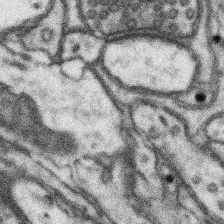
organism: Mouse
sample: Somatosensory cortex neuropil